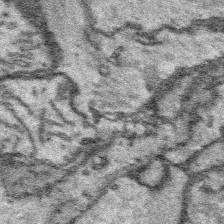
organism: Platynereis dumerilii